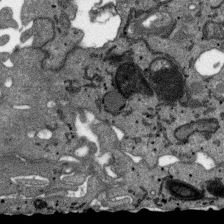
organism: Human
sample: Lung epithelial cells, uninfected (mock) control